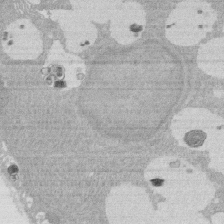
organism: Rat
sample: Salivary granule